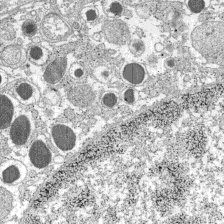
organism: C57BL Mouse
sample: Pancreatic islet